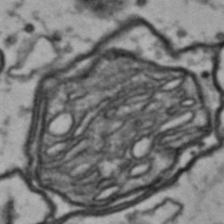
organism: Drosophila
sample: Brain